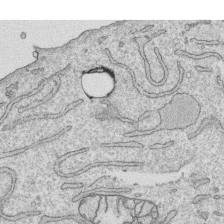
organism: Human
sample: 1205lu cells